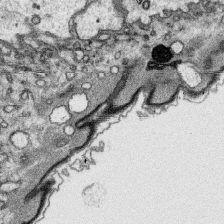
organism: Platynereis dumerilii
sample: Parapodia